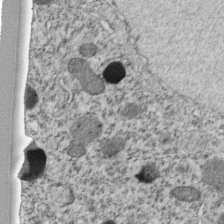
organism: C. elegans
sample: C. elegans embryo early stage